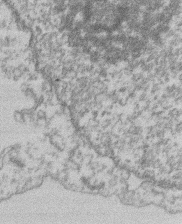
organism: Mouse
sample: T cell stromal cell synapse